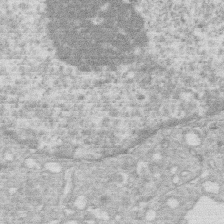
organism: Human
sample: Macrophage cells